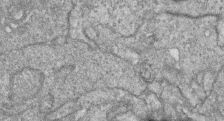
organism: Zebrafish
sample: Cilia; retinal pigment epithelium